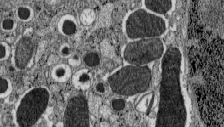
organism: C57BL Mouse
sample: Pancreatic islet